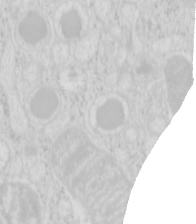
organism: Mouse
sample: Pancreas